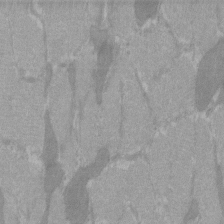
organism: C57BL Mouse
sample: Tibialis anterior muscle cell